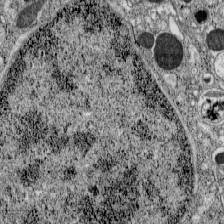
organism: C57BL Mouse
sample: Pancreatic islet